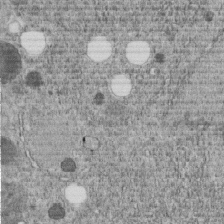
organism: C. elegans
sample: C. elegans embryo early stage